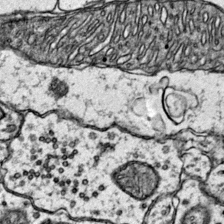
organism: Mouse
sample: Primary visual cortex